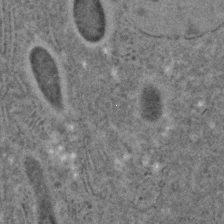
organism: C. elegans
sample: C. elegans embryo